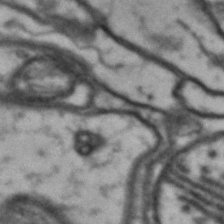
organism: Drosophila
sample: Brain